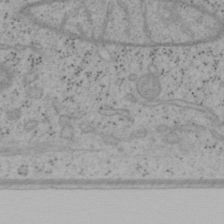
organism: Human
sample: HeLa cells